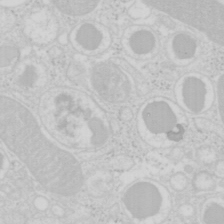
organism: Mouse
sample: Pancreas